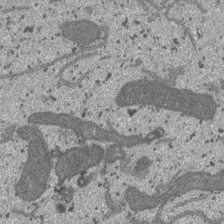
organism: Human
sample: Lung epithelial cells infected with SARS-CoV-2